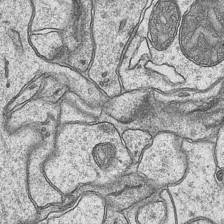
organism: Mouse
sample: CA1 Hippocampus